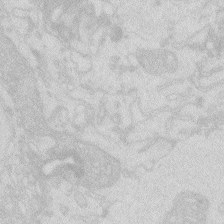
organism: Zebrafish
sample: Macrophage